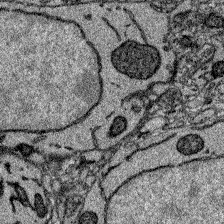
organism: Zebrafish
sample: Larval olfactory bulb